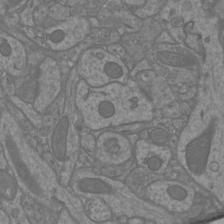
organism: Mouse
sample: Cortical neurons